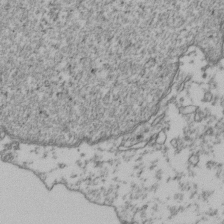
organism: Human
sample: Activated Jurkat CD4+ T cells